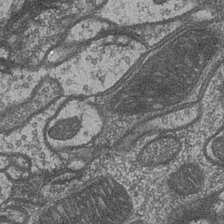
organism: Drosophila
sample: Optic medulla